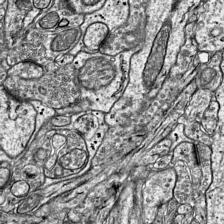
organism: Mouse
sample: Visual Cortex